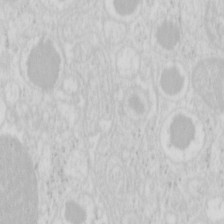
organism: Mouse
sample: Pancreas